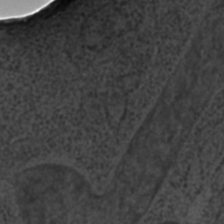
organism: C. elegans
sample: C. elegans embryo